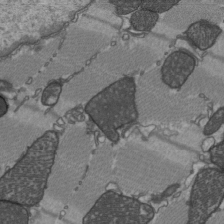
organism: C57BL Mouse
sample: Heart